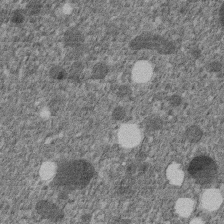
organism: C. elegans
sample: C. elegans embryo early stage